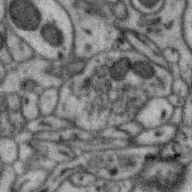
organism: Zebra finch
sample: Brain